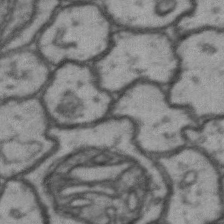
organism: Drosophila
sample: Brain